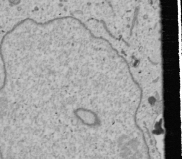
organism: Human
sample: Mitochondria in U2OS cells